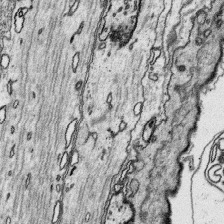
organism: Platynereis dumerilii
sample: Parapodia